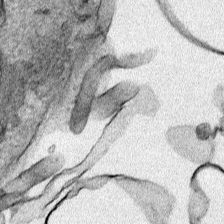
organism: Human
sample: Mitochondria in HCT116 cells